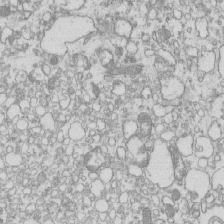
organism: Mouse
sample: Macrophages